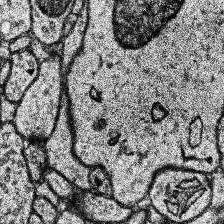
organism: Human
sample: Temporal Lobe